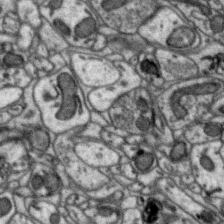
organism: Zebra finch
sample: Brain